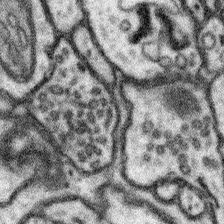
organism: Mouse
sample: Somatosensory cortex neuropil